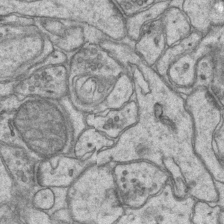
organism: Mouse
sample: CA1 Hippocampus